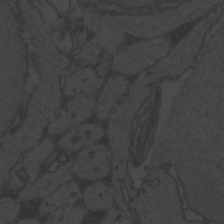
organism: Zebrafish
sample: Macrophage infected with Toxoplasma gondii